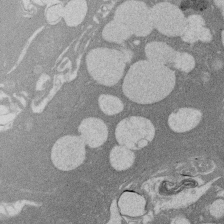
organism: Rat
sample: Salivary granule